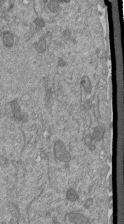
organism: Mouse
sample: ED-1 cell nuclei; centrioles